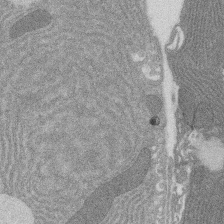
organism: Rat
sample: Salivary granule